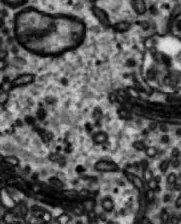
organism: Human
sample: HeLa cells